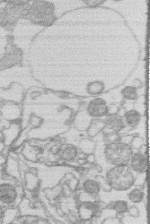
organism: Human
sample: Macrophage cells